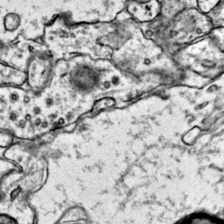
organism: Mouse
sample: Primary visual cortex